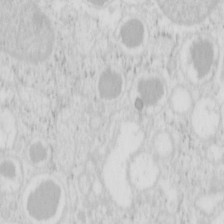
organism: Mouse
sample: Pancreas